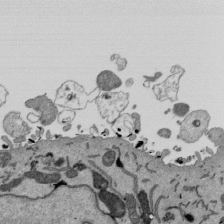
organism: Mouse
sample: ED-1 cell nuclei; centrioles